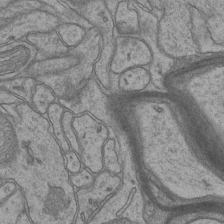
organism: Mouse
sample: CA1 Hippocampus